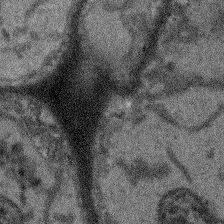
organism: Arabidopsis thaliana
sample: Root tip